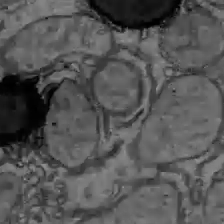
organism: C57BL Mouse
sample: Liver